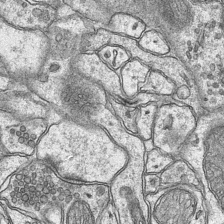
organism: Mouse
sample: CA1 Hippocampus